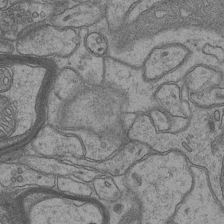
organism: Mouse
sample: CA1 Hippocampus